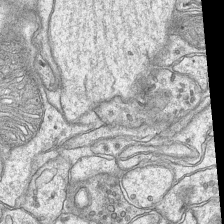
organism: Mouse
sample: CA1 Hippocampus